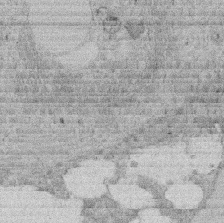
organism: Rat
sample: Salivary granule